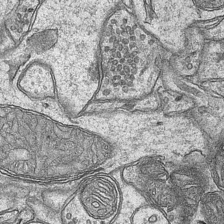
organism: Mouse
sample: CA1 Hippocampus